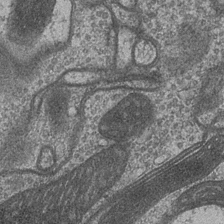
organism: Drosophila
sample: Optic medulla